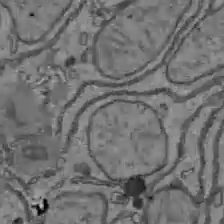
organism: C57BL Mouse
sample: Liver